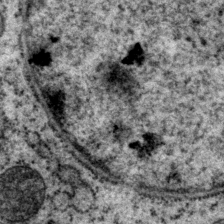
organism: P. pacificus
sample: Pharynx